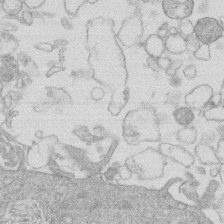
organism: Human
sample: Macrophage cells